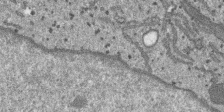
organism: Human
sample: Lung epithelial cells infected with SARS-CoV-2